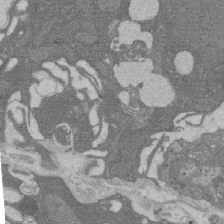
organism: Rat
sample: Salivary granule